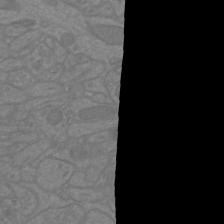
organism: Mouse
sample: Cortical neurons